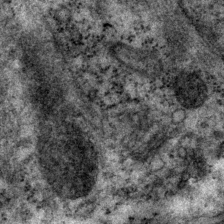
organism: P. pacificus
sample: Pharynx